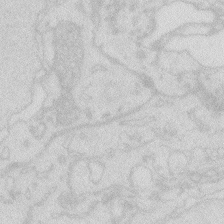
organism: Zebrafish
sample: Macrophage